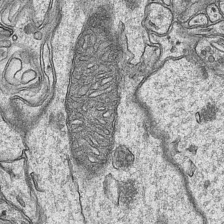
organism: Mouse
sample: CA1 Hippocampus